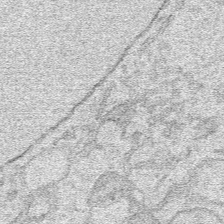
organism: Human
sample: Mitochondria in HCT116 cells